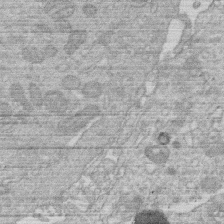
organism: Human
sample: Macrophage cells